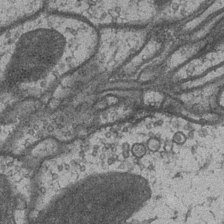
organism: Drosophila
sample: Optic medulla